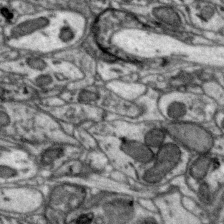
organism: Zebra finch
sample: Brain